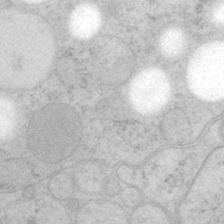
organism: P. pacificus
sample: Pharynx